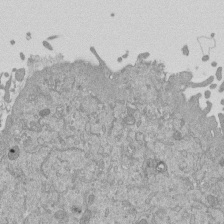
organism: Mouse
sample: ED-1 cell nuclei; centrioles